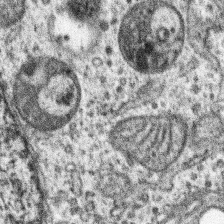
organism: Human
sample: HeLa cells